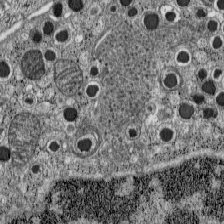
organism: C57BL Mouse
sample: Pancreatic islet